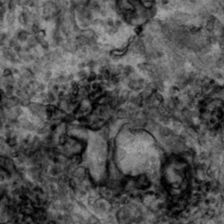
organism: Human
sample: Mitochondria in HCT116 cells